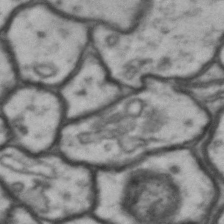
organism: Drosophila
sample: Brain